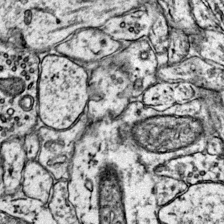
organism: Mouse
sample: Primary visual cortex